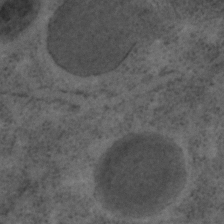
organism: C. elegans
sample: C. elegans embryo